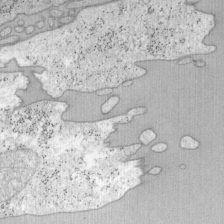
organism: Mouse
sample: OT-I killer T cells with ID8 ovarian cancer cells